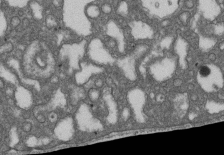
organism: Drosophila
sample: Nephrocyte